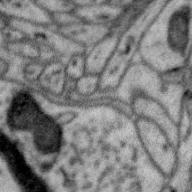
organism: Zebra finch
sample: Brain